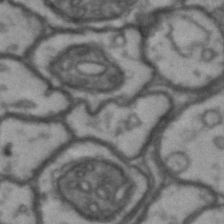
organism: Drosophila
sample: Brain